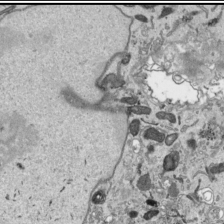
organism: Human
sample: Mitochondria in HCT116 cells